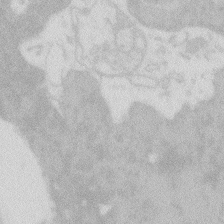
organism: Zebrafish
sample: Macrophage